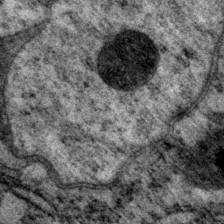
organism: P. pacificus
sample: Pharynx